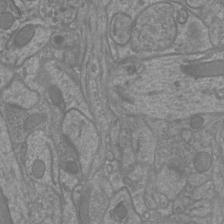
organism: Mouse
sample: Cortical neurons